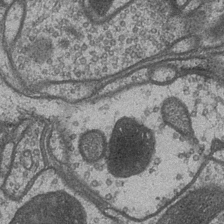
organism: Drosophila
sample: Optic medulla